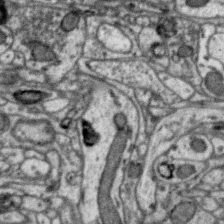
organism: Zebra finch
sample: Brain